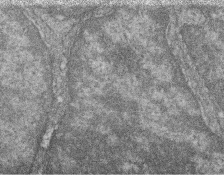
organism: Zebrafish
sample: Cilia; retinal pigment epithelium